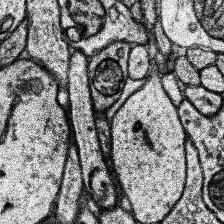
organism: Human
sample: Temporal Lobe